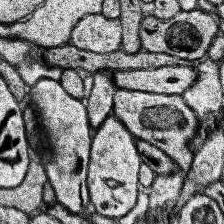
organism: Human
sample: Temporal Lobe